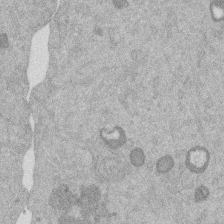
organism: Mouse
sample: Dividing mouse embryo 1 cell stage